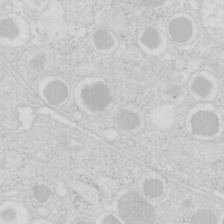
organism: Mouse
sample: Pancreas